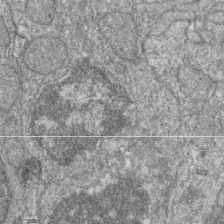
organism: Zebrafish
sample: Cilia; retinal pigment epithelium